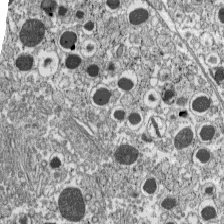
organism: C57BL Mouse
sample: Pancreatic islet